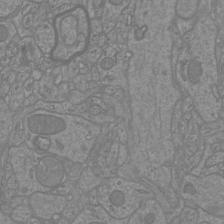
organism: Mouse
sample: Cortical neurons